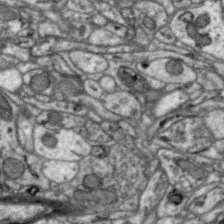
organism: Zebra finch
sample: Brain